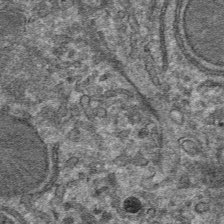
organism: Mouse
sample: Mouse hepatocytes